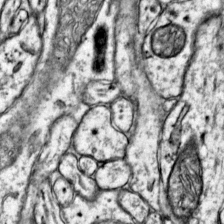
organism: Mouse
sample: Primary visual cortex